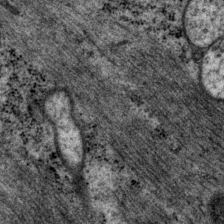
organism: P. pacificus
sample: Pharynx